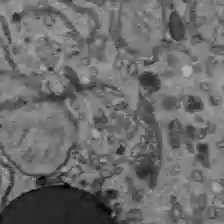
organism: C57BL Mouse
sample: Liver